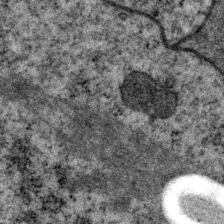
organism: P. pacificus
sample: Pharynx